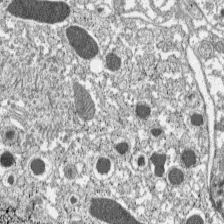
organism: C57BL Mouse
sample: Pancreatic islet